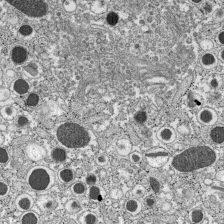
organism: C57BL Mouse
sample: Pancreatic islet